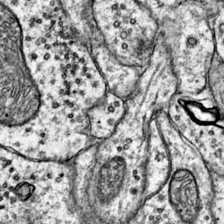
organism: Mouse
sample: Primary visual cortex